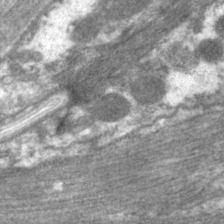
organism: C. elegans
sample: Pharynx